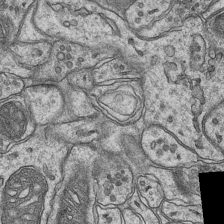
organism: Mouse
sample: CA1 Hippocampus